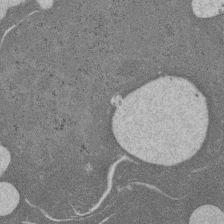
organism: Rat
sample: Salivary granule